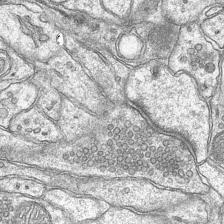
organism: Mouse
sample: CA1 Hippocampus